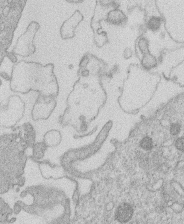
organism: Human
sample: Macrophage cells